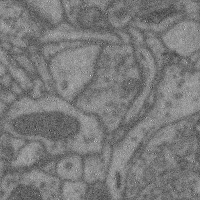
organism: Mouse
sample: Cerebral cortex